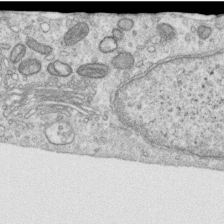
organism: Human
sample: Centriole in RPE cells